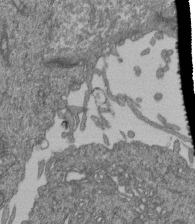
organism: Human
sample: Retinal organoid Rod and Cone cells